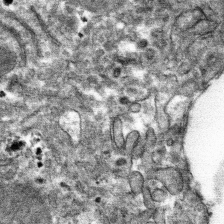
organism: Mouse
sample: Mouse hepatocytes